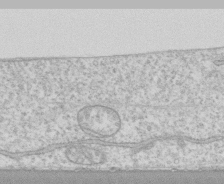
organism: Human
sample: CRL-1474